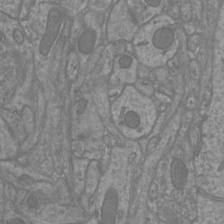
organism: Mouse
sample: Cortical neurons